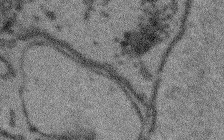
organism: Arabidopsis thaliana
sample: Root tip